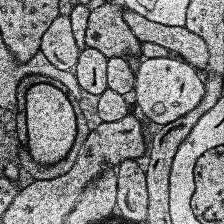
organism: Human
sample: Temporal Lobe